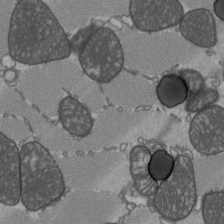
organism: C57BL Mouse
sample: Heart